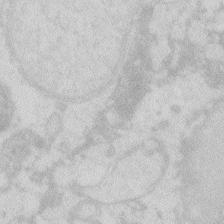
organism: Zebrafish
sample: Macrophage